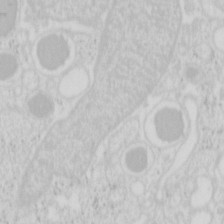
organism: Mouse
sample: Pancreas